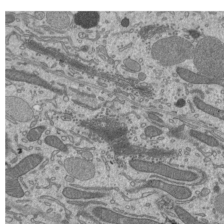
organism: Mouse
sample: Mouse epididymis efferent ductule cilia